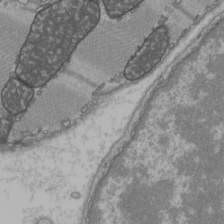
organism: C57BL Mouse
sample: Heart